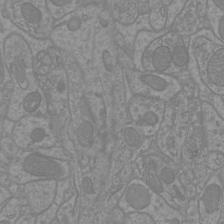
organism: Mouse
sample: Cortical neurons